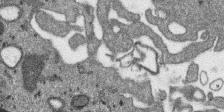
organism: Human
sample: Lung epithelial cells infected with SARS-CoV-2